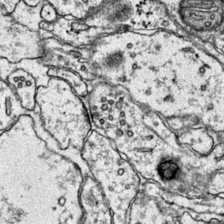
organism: Mouse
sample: Primary visual cortex